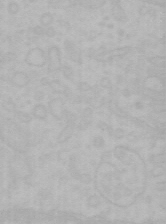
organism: Mouse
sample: Choroid plexus